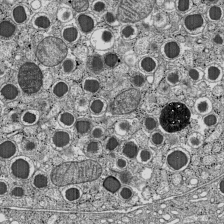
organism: C57BL Mouse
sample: Pancreatic islet